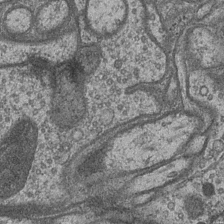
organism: Drosophila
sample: Optic medulla